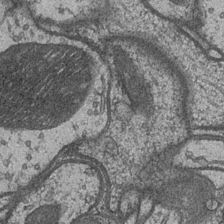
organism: Drosophila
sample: Optic medulla